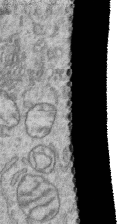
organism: Human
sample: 1205lu cells